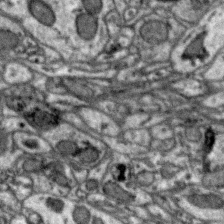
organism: Zebra finch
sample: Brain